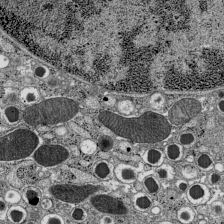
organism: C57BL Mouse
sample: Pancreatic islet